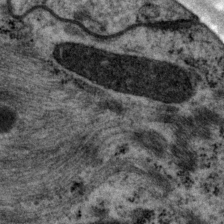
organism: P. pacificus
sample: Pharynx